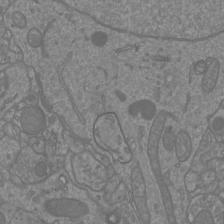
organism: Mouse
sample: Cortical neurons